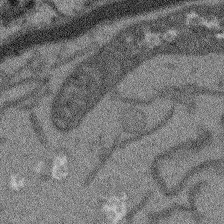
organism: Arabidopsis thaliana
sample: Root tip